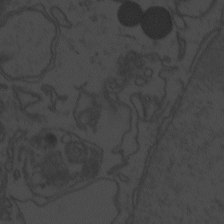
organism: Zebrafish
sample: Macrophage infected with Toxoplasma gondii